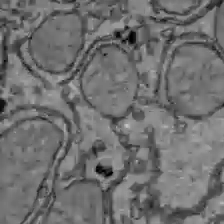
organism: C57BL Mouse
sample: Liver